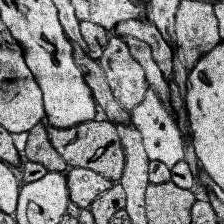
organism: Human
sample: Temporal Lobe